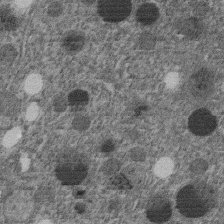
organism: C. elegans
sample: C. elegans embryo early stage